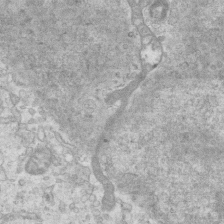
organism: Mouse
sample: Centriole in ependymal cells